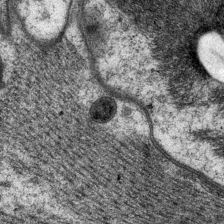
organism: P. pacificus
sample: Pharynx